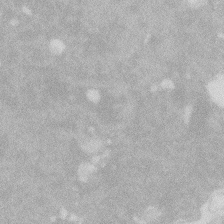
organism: Zebrafish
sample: Macrophage